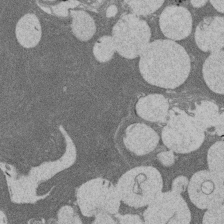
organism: Rat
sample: Salivary granule